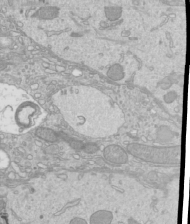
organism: Mouse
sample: Cilia; mouse epididymis